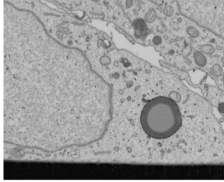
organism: Human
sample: Mitochondria in U2OS cells